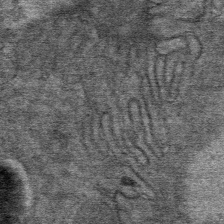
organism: Mouse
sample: Mouse Salivary gland